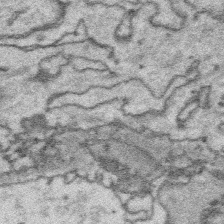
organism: Platynereis dumerilii